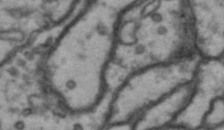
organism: Drosophila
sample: Brain